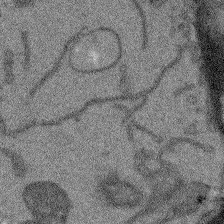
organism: Arabidopsis thaliana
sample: Root tip